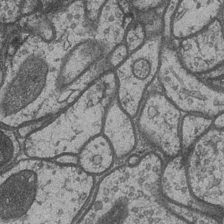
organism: Drosophila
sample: Optic medulla